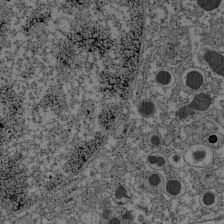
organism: C57BL Mouse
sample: Pancreatic islet